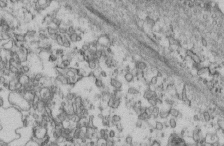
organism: Mouse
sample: Cilia; retinal pigment epithelium